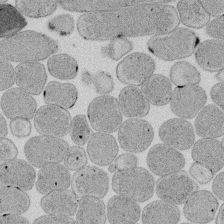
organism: E. coli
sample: Bacterial nucleoid